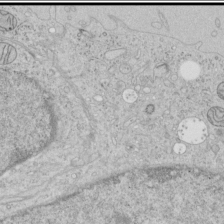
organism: Human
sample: Mitochondria in HCT116 cells